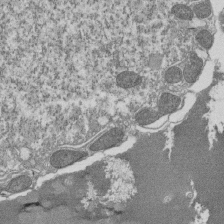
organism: Tetrahymena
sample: Cilia in tetrahymena